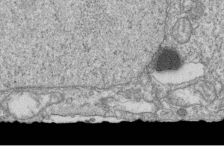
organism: Human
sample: HeLa cell HIV synapse